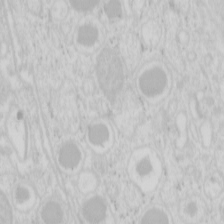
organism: Mouse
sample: Pancreas